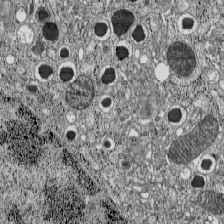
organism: C57BL Mouse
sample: Pancreatic islet